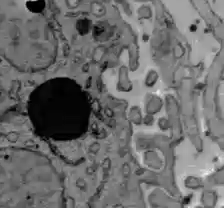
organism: C57BL Mouse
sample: Liver